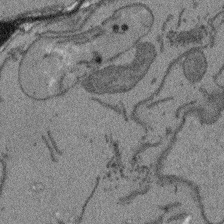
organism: Arabidopsis thaliana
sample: Root tip